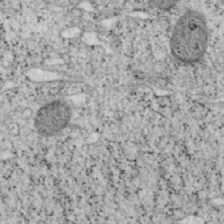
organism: Mouse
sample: OT-I killer T cells with ID8 ovarian cancer cells